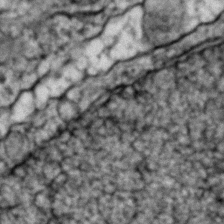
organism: Zebrafish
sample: Zebrafish embryo